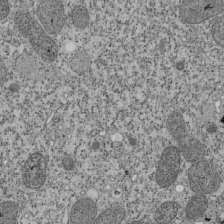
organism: Tetrahymena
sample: Cilia in tetrahymena